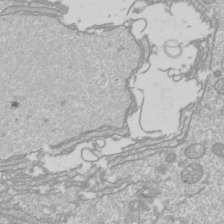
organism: Drosophila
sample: Cell division; meiosis; drosophila spermatocytes